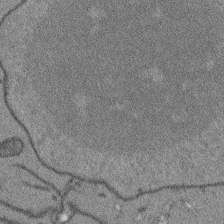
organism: Arabidopsis thaliana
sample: Root tip